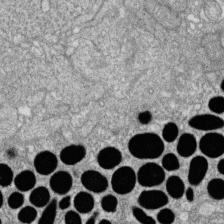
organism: Zebrafish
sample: Cilia; retinal pigment epithelium